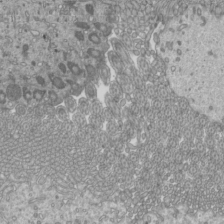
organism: Mouse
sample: Cilia; mouse epididymis